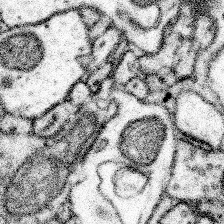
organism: Mouse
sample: Somatosensory cortex neuropil